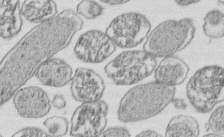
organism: E. coli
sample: Bacterial nucleoid